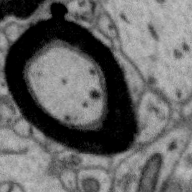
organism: Zebra finch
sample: Brain